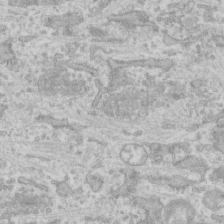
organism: Human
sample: CRL-1474